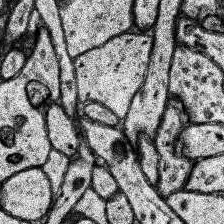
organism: Human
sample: Temporal Lobe